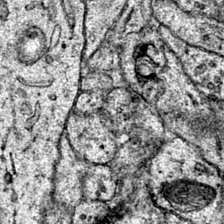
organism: Mouse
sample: Primary visual cortex